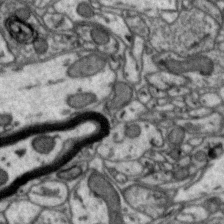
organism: Zebra finch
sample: Brain